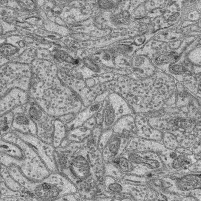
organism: Mouse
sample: Retina